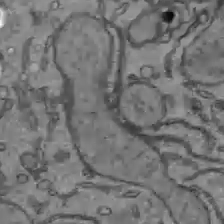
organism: C57BL Mouse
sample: Liver